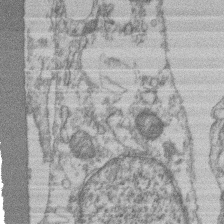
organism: Mouse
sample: T cell stromal cell synapse